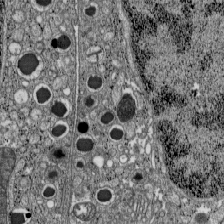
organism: C57BL Mouse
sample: Pancreatic islet